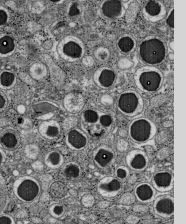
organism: C57BL Mouse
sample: Pancreatic islet